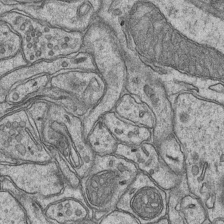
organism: Mouse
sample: CA1 Hippocampus